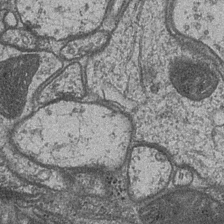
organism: Drosophila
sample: Optic medulla